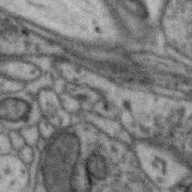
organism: Zebra finch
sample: Brain